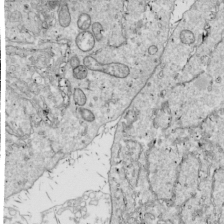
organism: Drosophila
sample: Cell division; meiosis; drosophila spermatocytes